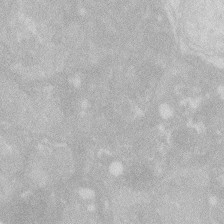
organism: Zebrafish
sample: Macrophage